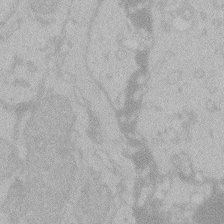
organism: Zebrafish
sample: Macrophage infected with Toxoplasma gondii